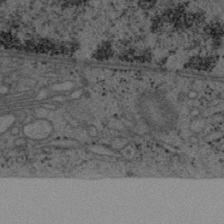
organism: Human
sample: HeLa cells